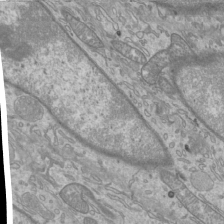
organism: Mouse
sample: Cilia; mouse epididymis